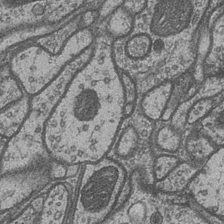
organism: Drosophila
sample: Optic medulla